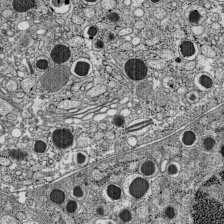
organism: C57BL Mouse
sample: Pancreatic islet